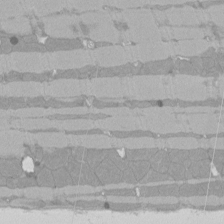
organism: Rat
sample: Left ventricle